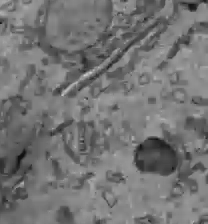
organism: C57BL Mouse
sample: Liver